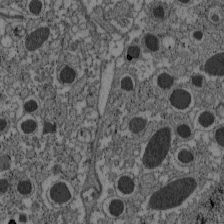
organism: C57BL Mouse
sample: Pancreatic islet